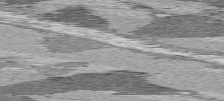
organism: C57BL Mouse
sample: Heart